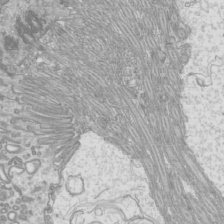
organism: Mouse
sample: Cilia; mouse epididymis